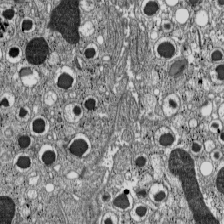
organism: C57BL Mouse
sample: Pancreatic islet